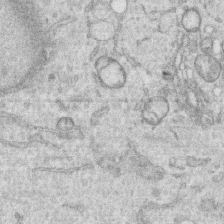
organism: Human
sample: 1205lu cells